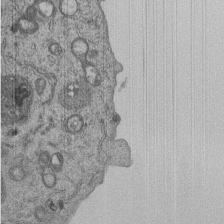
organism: Human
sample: MDA-MB-231 cells